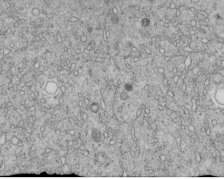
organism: C. elegans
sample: C. elegans embryo early stage